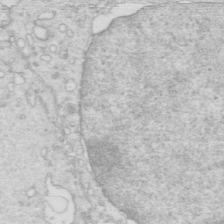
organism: Mouse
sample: Multiciliated cells